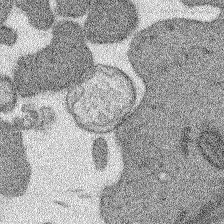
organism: Human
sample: HeLa cells